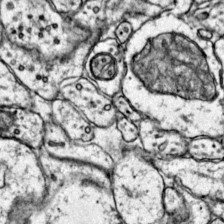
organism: Mouse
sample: Primary visual cortex